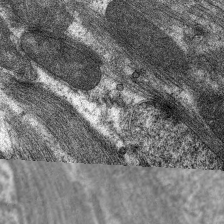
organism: C. elegans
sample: Pharynx